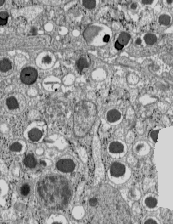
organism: C57BL Mouse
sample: Pancreatic islet